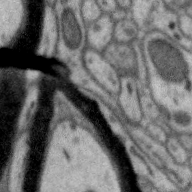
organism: Zebra finch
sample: Brain